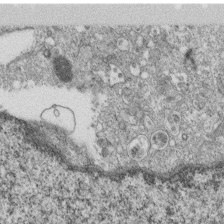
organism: African green monkey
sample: Vero E6 cells infected with SARS-CoV-2